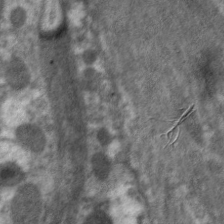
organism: C. elegans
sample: Pharynx